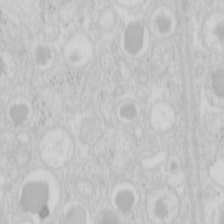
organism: Mouse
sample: Pancreas